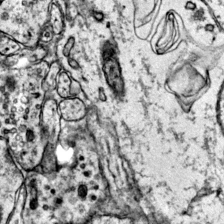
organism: Mouse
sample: Primary visual cortex